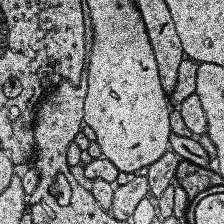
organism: Human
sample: Temporal Lobe